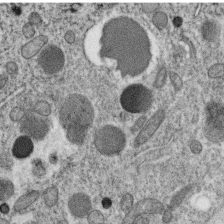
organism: C. elegans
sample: C. elegans oocyte; sperm cells